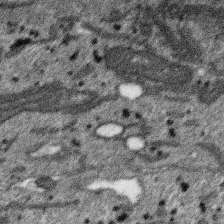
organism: Human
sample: Lung epithelial cells infected with SARS-CoV-2